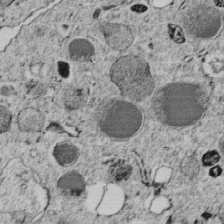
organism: C. elegans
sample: C. elegans embryo early stage